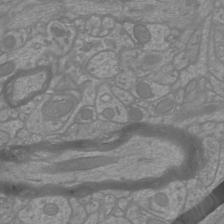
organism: Mouse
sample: Cortical neurons